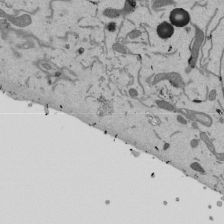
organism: Mouse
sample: ED-1 cell nuclei; centrioles